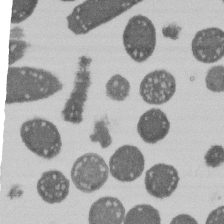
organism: E. coli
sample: Bacterial nucleoid